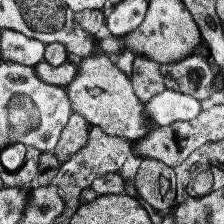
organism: Human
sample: Temporal Lobe